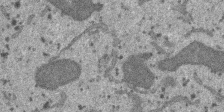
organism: Human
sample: Lung epithelial cells infected with SARS-CoV-2